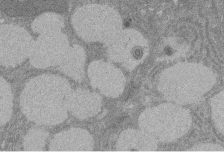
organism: Rat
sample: Salivary granule